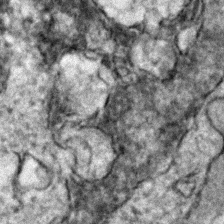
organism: Zebrafish